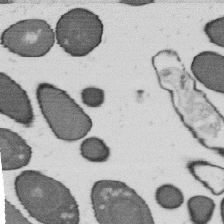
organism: B. subtilis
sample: Bacterial spore